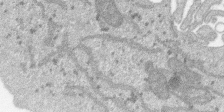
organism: Human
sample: Lung epithelial cells infected with SARS-CoV-2